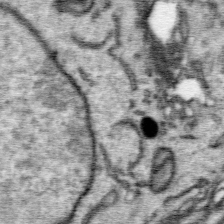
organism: Human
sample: HeLa cells